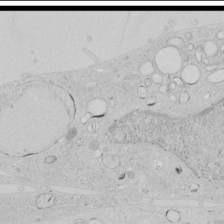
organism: Human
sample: Mitochondria in HCT116 cells